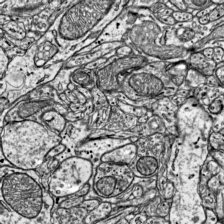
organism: Mouse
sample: Visual Cortex